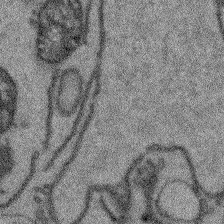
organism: Arabidopsis thaliana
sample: Root tip